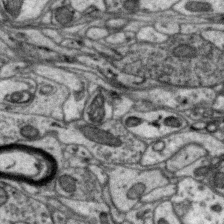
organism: Zebra finch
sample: Brain